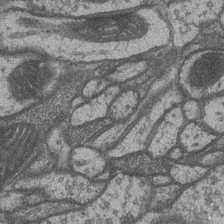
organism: Drosophila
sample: Optic medulla